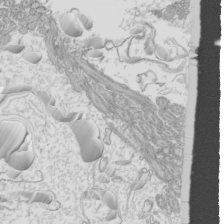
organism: Mouse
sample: Cilia; mouse epididymis